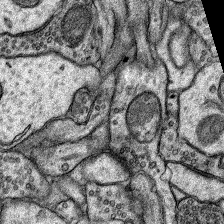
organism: Rat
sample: Hippocampus